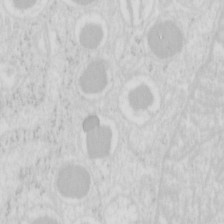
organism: Mouse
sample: Pancreas